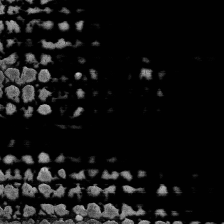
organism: Human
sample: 1205lu cells